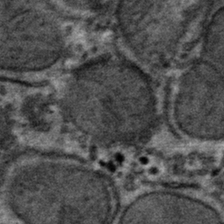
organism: Mouse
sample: Mouse hepatocytes